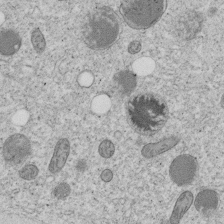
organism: C. elegans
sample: C. elegans embryo early stage